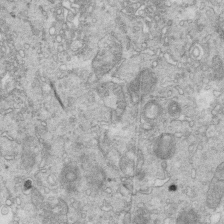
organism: Mouse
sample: Multiciliated cells